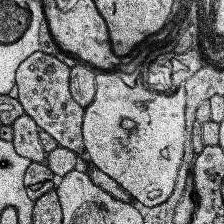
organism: Human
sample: Temporal Lobe